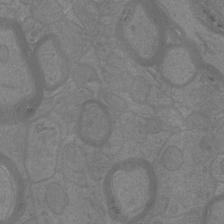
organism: Mouse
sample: Cortical neurons